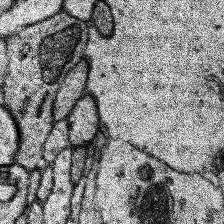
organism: Human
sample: Temporal Lobe